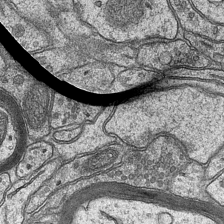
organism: Mouse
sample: CA1 Hippocampus